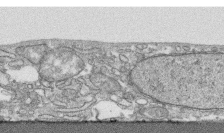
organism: Human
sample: CRL-1474